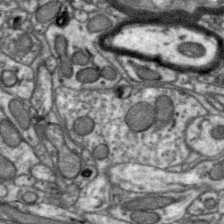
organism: Zebra finch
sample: Brain